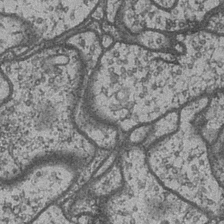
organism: Drosophila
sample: Optic medulla